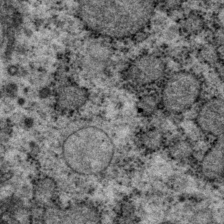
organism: P. pacificus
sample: Pharynx